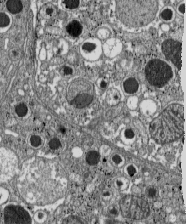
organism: C57BL Mouse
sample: Pancreatic islet